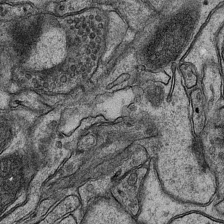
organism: Mouse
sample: CA1 Hippocampus